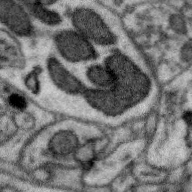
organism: Zebra finch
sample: Brain